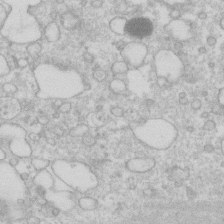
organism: Human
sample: Fibroblast cells